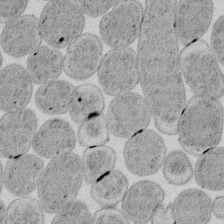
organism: E. coli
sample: Bacterial nucleoid